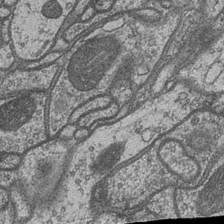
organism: Drosophila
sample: Optic medulla